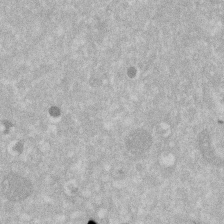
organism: Human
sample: HIV infected U937 cells